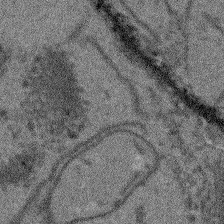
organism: Arabidopsis thaliana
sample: Root tip